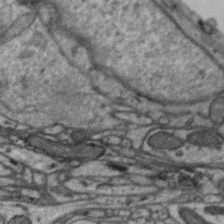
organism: Zebra finch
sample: Brain